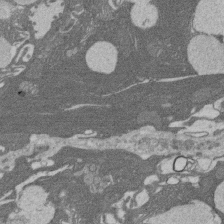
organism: Rat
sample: Salivary granule